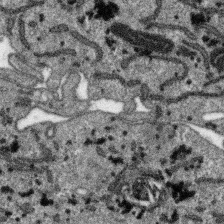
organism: Human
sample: Lung epithelial cells infected with SARS-CoV-2